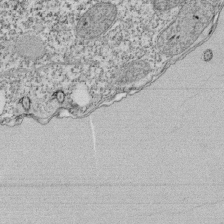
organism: Tetrahymena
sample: Cilia in tetrahymena